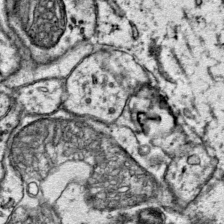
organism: Mouse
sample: Primary visual cortex